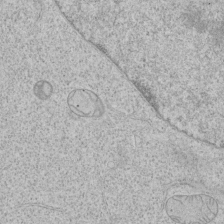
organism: Human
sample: Mitochondria in HCT116 cells